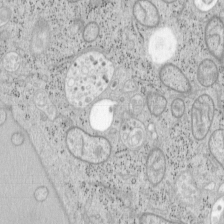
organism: Mouse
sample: OT-I killer T cells with ID8 ovarian cancer cells